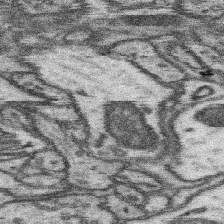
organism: Mouse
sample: Somatosensory cortex neuropil